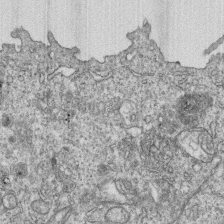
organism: Human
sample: HeLa cell HIV synapse